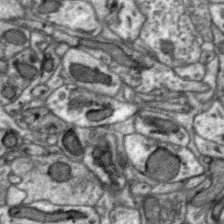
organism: Zebra finch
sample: Brain